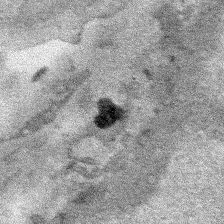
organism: Human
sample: Mitochondria in HCT116 cells